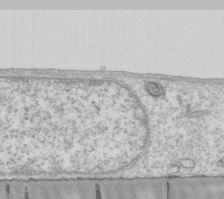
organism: Human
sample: Fibroblast cells